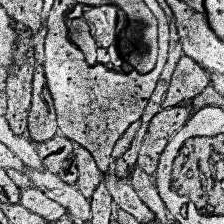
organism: Human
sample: Temporal Lobe